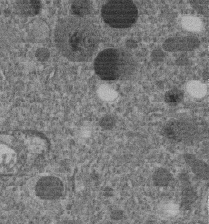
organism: C. elegans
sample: C. elegans embryo early stage